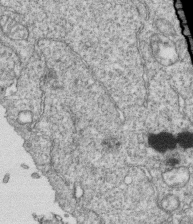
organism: Human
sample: HeLa cell HIV synapse